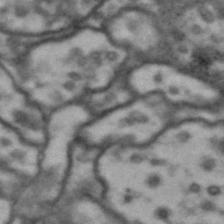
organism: Drosophila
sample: Brain